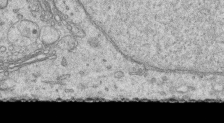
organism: Human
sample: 1205lu cells